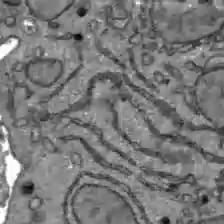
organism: C57BL Mouse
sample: Liver